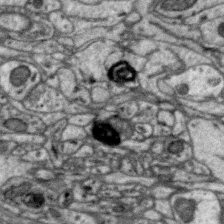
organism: Zebra finch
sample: Brain